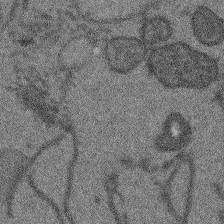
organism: Arabidopsis thaliana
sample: Root tip